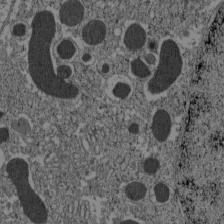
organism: C57BL Mouse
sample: Pancreatic islet